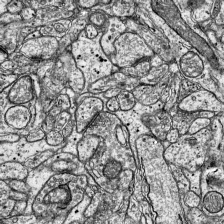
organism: Mouse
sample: Visual Cortex